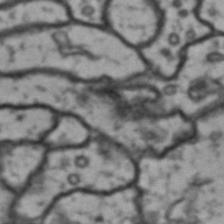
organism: Drosophila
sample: Brain